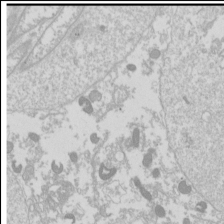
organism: Drosophila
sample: Cell division; meiosis; drosophila spermatocytes